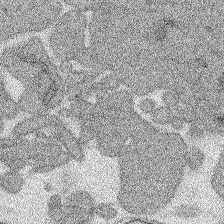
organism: Human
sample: HeLa cells